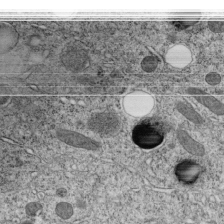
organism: C. elegans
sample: C. elegans embryo early stage